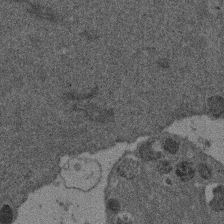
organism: Mouse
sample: Dividing mouse embryo 1 cell stage